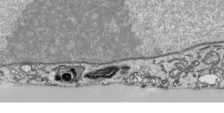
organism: Human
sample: Mitochondria in HCT116 cells